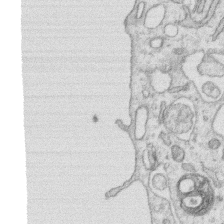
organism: Human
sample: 1205lu cells